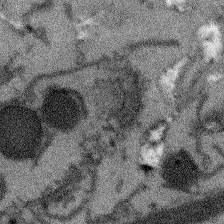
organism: Arabidopsis thaliana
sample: Root tip